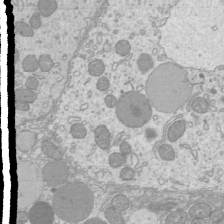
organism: Mouse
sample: Cilia; mouse epididymis